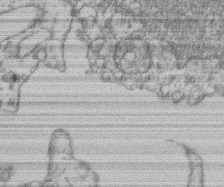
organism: Mouse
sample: T cell stromal cell synapse